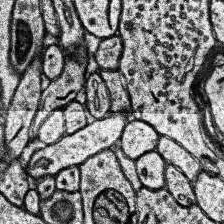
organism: Human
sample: Temporal Lobe